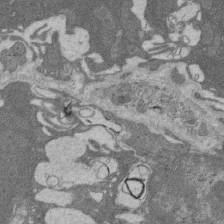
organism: Rat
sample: Salivary granule